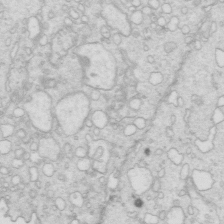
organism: Mouse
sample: Multiciliated cells